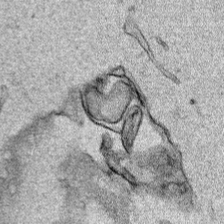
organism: Human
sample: Mitochondria in HCT116 cells